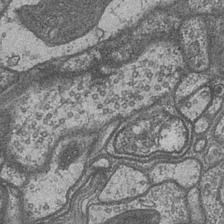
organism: Drosophila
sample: Optic medulla